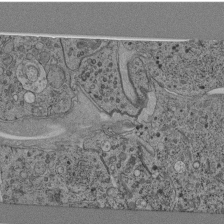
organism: C. elegans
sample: C. elegans pharynx